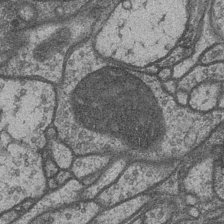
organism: Drosophila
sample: Optic medulla